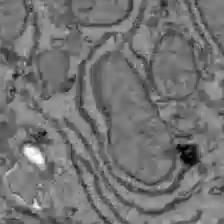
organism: C57BL Mouse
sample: Liver